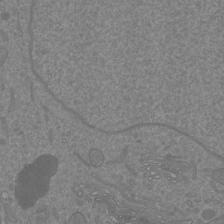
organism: Mouse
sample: Cortical neurons